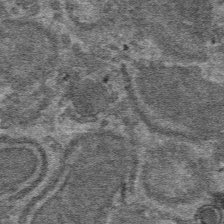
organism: Mouse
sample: Mouse hepatocytes